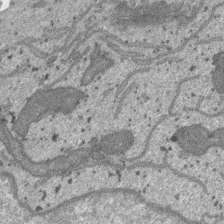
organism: Human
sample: Lung epithelial cells infected with SARS-CoV-2